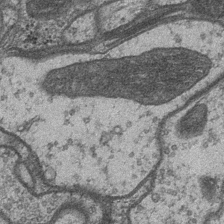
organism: Drosophila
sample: Optic medulla